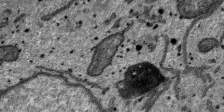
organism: Human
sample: Lung epithelial cells, uninfected (mock) control